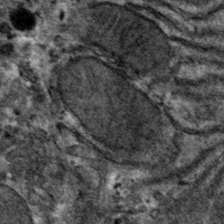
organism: Mouse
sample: Mouse hepatocytes